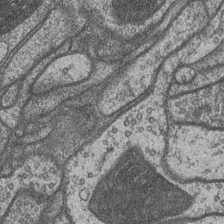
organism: Drosophila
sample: Optic medulla